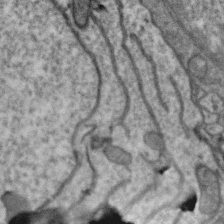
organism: Zebra finch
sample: Brain